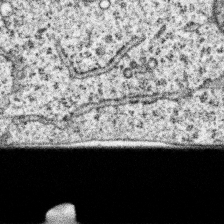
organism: Human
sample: HeLa cells